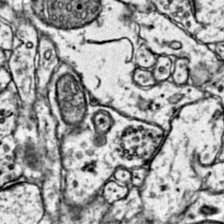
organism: Mouse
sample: Primary visual cortex